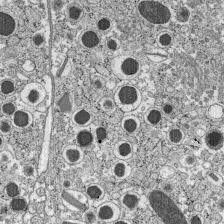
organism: C57BL Mouse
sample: Pancreatic islet